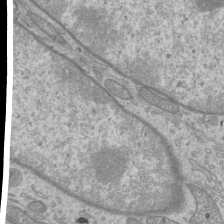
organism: Mouse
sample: Cilia; mouse epididymis